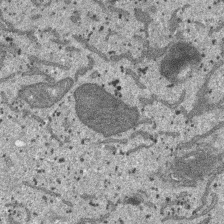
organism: Human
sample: Lung epithelial cells infected with SARS-CoV-2